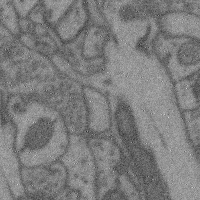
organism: Mouse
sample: Cerebral cortex